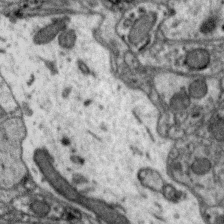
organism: Zebra finch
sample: Brain